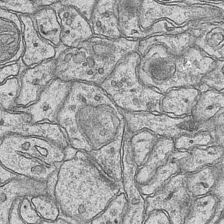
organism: Mouse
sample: CA1 Hippocampus